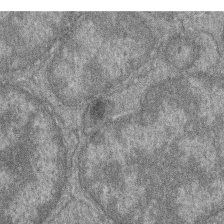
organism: Zebrafish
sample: Cilia; retinal pigment epithelium